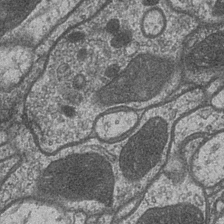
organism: Drosophila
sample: Optic medulla